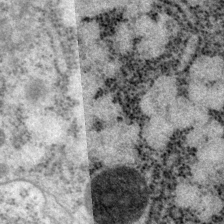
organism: P. pacificus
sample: Pharynx